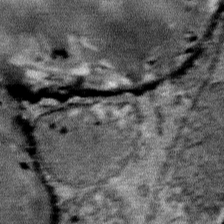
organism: Mouse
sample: Mouse Salivary gland